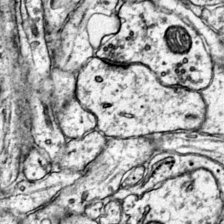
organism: Mouse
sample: Primary visual cortex